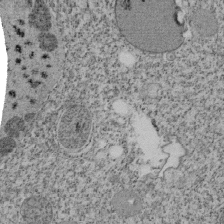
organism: Tetrahymena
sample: Cilia in tetrahymena